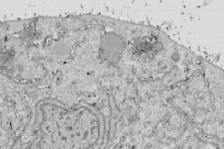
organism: Drosophila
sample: Cell division; meiosis; drosophila spermatocytes